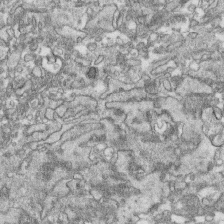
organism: Human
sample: CRL-1474